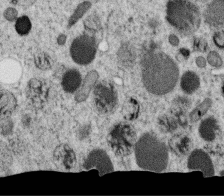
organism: C. elegans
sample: C. elegans oocyte; sperm cells